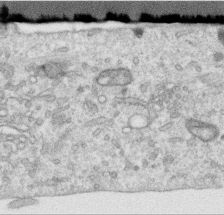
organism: Human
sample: Centriole in RPE cells